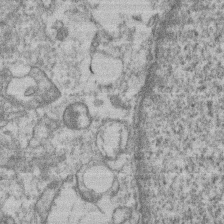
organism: Mouse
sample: T cell stromal cell synapse